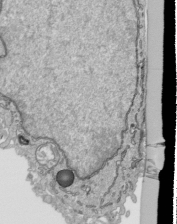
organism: Human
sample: Mitochondria in HCT116 cells